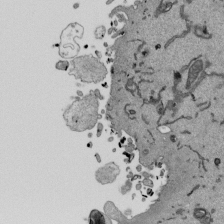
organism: Mouse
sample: ED-1 cell nuclei; centrioles